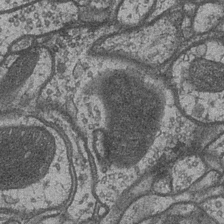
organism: Drosophila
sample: Optic medulla